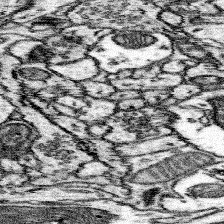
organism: Mouse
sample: Somatosensory cortex neuropil